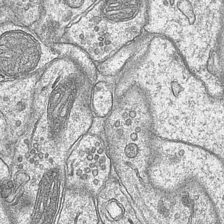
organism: Mouse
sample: CA1 Hippocampus